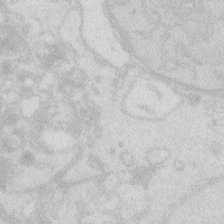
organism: Zebrafish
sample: Macrophage